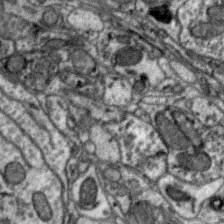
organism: Zebra finch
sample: Brain